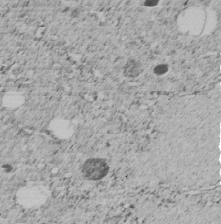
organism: C. elegans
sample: C. elegans embryo early stage